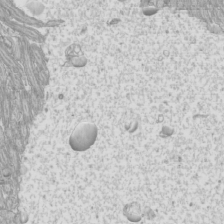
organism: Mouse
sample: Cilia; mouse epididymis